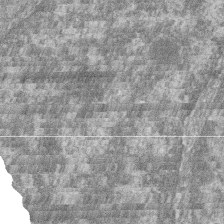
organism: Zebrafish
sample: Cilia; retinal pigment epithelium